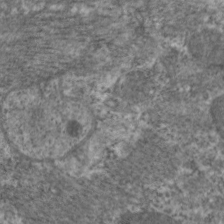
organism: C. elegans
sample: Pharynx